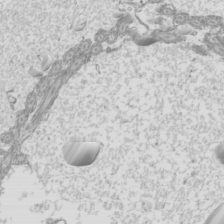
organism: Mouse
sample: Cilia; mouse epididymis